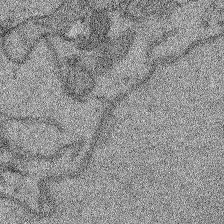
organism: Human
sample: HeLa cells